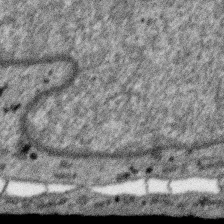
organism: Human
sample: Lung epithelial cells infected with SARS-CoV-2